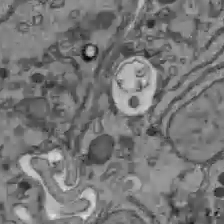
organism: C57BL Mouse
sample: Liver